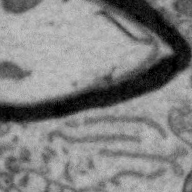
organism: Zebra finch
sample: Brain